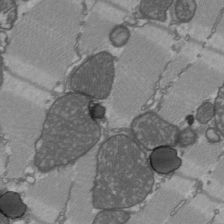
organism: C57BL Mouse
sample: Heart